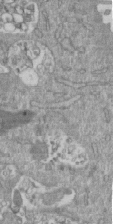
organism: Mouse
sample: ED-1 cell nuclei; centrioles